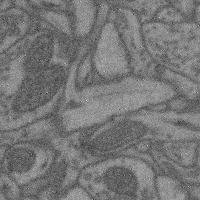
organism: Mouse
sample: Cerebral cortex